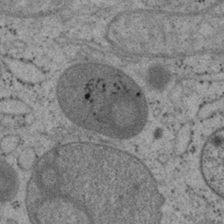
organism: Human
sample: HeLa cells